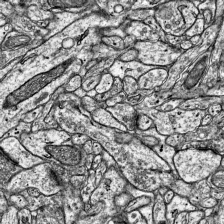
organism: Mouse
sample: Visual Cortex